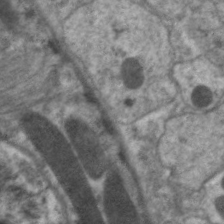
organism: C. elegans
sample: Pharynx